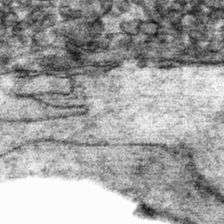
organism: Mouse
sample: Mouse hepatocytes